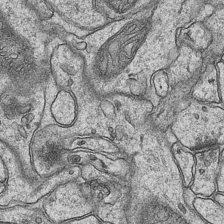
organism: Mouse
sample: CA1 Hippocampus